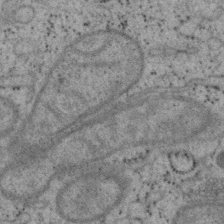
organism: Human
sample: HeLa cells